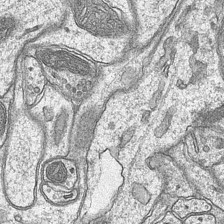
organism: Mouse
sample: CA1 Hippocampus